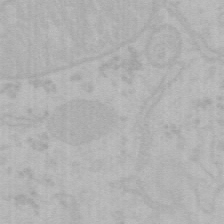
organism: Mouse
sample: Choroid plexus